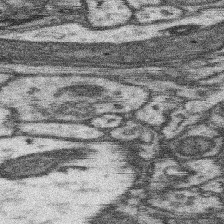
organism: Mouse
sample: Somatosensory cortex neuropil